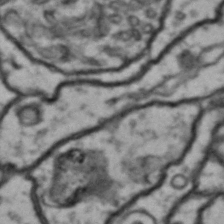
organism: Drosophila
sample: Brain